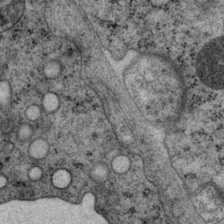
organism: P. pacificus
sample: Pharynx